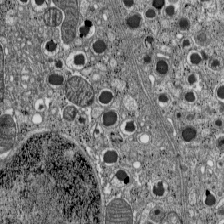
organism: C57BL Mouse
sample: Pancreatic islet